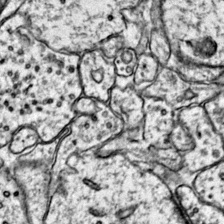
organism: Mouse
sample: Primary visual cortex